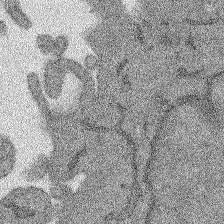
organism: Human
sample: HeLa cells